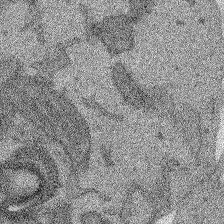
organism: Human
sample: HeLa cells